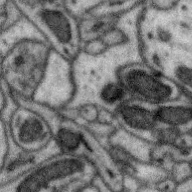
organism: Zebra finch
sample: Brain